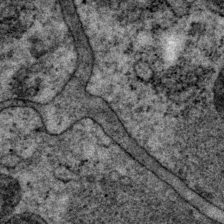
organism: P. pacificus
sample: Pharynx